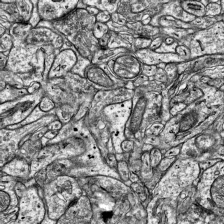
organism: Mouse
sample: Visual Cortex